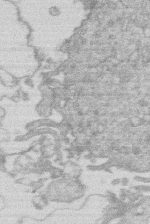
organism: Human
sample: Macrophage cells